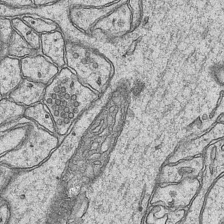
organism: Mouse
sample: CA1 Hippocampus